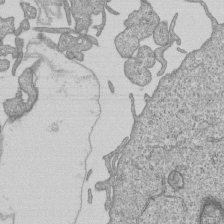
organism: Human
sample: MDA-MB-231 cells